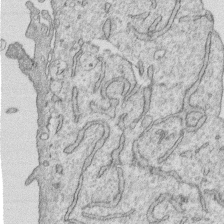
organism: Human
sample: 1205lu cells